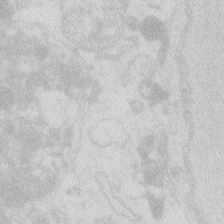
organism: Zebrafish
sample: Macrophage